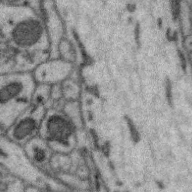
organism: Zebra finch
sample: Brain